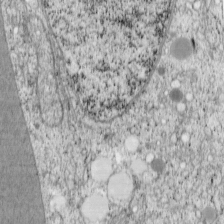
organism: African green monkey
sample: COS-7 cells